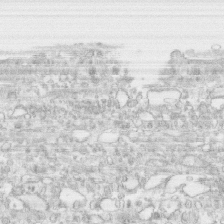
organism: Human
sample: CRL-1474